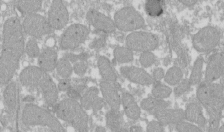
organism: Xenopus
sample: Cilia; centrioles in frog embryo cells